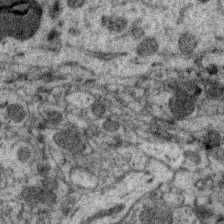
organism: Zebra finch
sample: Brain